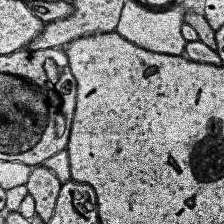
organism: Human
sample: Temporal Lobe